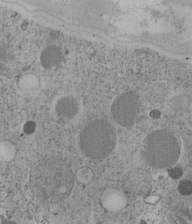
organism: C. elegans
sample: C. elegans embryo early stage